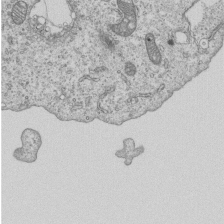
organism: Human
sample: MDA-MB-231 cells